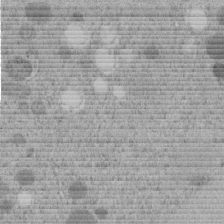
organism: C. elegans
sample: C. elegans embryo early stage